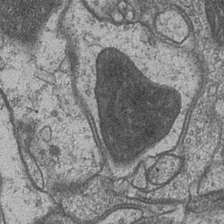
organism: Drosophila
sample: Optic medulla